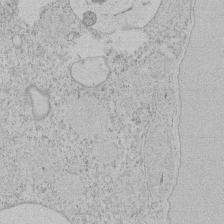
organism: Tetrahymena